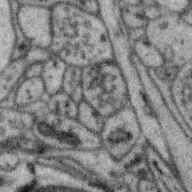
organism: Zebra finch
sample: Brain